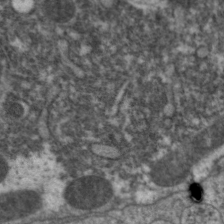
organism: C. elegans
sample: Pharynx